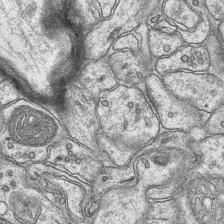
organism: Mouse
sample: CA1 Hippocampus